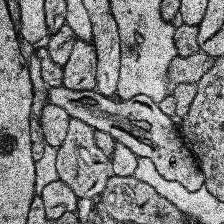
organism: Human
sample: Temporal Lobe